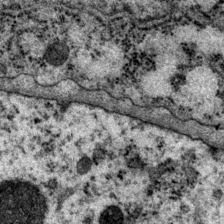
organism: P. pacificus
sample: Pharynx